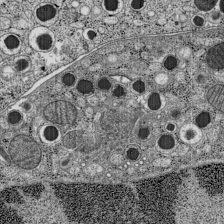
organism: C57BL Mouse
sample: Pancreatic islet